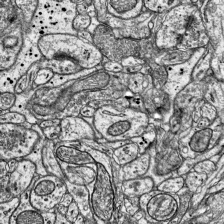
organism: Mouse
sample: Visual Cortex